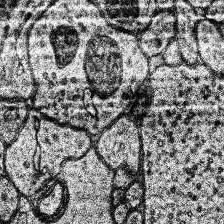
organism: Human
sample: Temporal Lobe